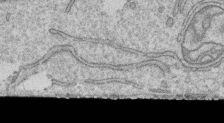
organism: Human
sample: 1205lu cells